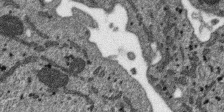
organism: Human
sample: Lung epithelial cells infected with SARS-CoV-2